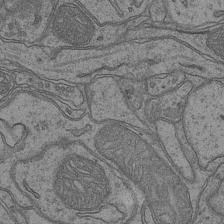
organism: Mouse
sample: CA1 Hippocampus